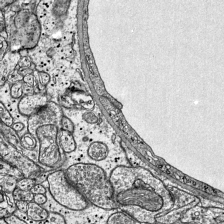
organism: Mouse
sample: Visual Cortex